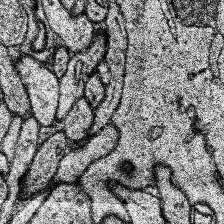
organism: Human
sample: Temporal Lobe